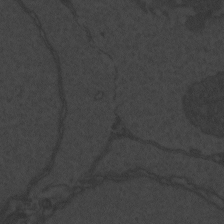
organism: Zebrafish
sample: Macrophage infected with Toxoplasma gondii